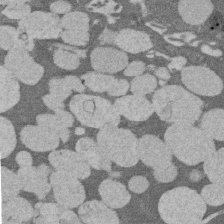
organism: Rat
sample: Salivary granule